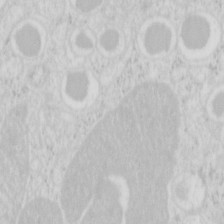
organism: Mouse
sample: Pancreas